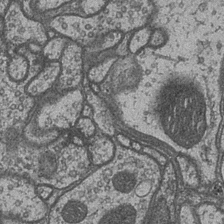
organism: Drosophila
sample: Optic medulla